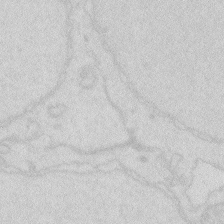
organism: Zebrafish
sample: Macrophage